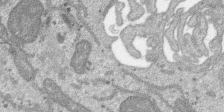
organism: Human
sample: Lung epithelial cells infected with SARS-CoV-2